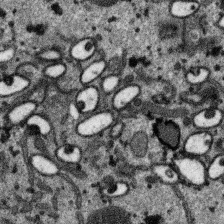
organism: Human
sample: Lung epithelial cells infected with SARS-CoV-2